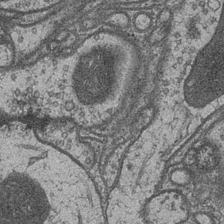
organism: Drosophila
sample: Optic medulla